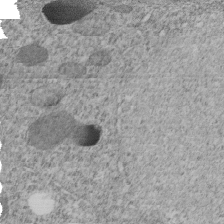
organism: C. elegans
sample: C. elegans embryo early stage